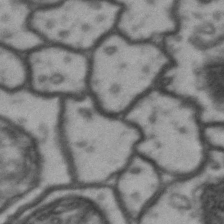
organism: Drosophila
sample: Brain